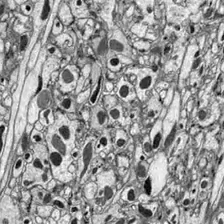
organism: Drosophila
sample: Optic lobe